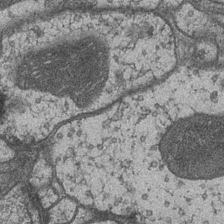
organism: Drosophila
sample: Optic medulla